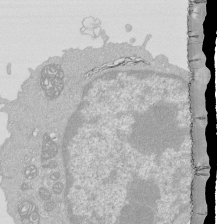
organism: Mouse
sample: Activated Pmel transgenic CD8+ T Cells